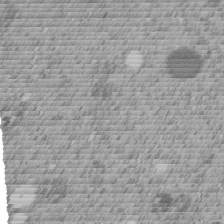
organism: C. elegans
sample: C. elegans embryo early stage